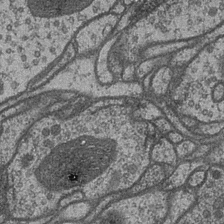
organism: Drosophila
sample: Optic medulla